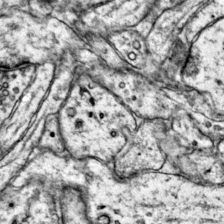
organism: Mouse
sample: Primary visual cortex